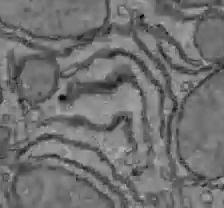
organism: C57BL Mouse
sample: Liver